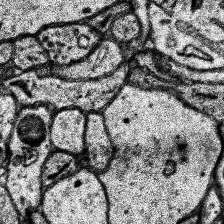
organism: Human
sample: Temporal Lobe